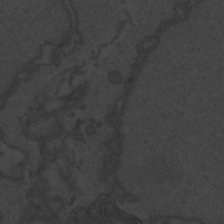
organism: Zebrafish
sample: Macrophage infected with Toxoplasma gondii